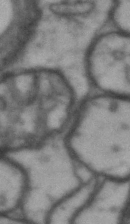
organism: Drosophila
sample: Brain